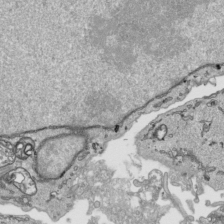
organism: Human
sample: Mitochondria in HCT116 cells